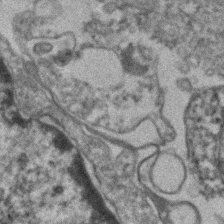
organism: Human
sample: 1205lu cells